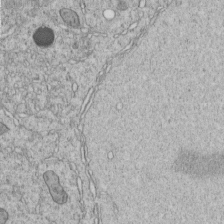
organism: C. elegans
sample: C. elegans embryo early stage